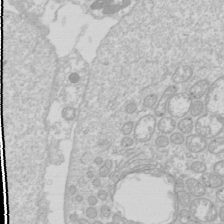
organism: Drosophila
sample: Cell division; meiosis; drosophila spermatocytes